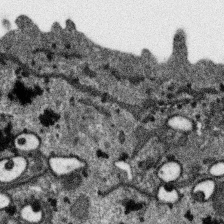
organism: Human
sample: Lung epithelial cells infected with SARS-CoV-2